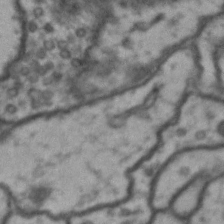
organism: Drosophila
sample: Brain